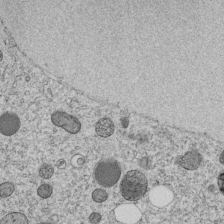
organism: C. elegans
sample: C. elegans embryo early stage